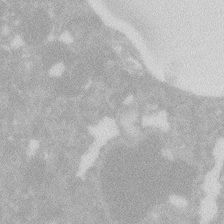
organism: Zebrafish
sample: Macrophage